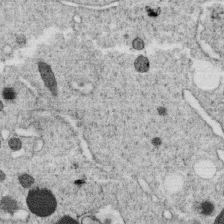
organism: C. elegans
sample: C. elegans oocyte; sperm cells